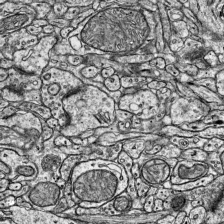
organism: Mouse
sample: Visual Cortex